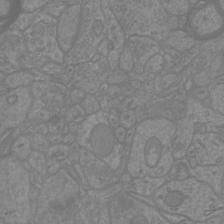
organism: Mouse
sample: Cortical neurons